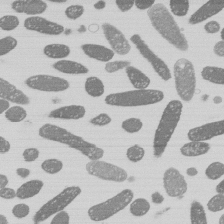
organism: E. coli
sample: Bacterial nucleoid